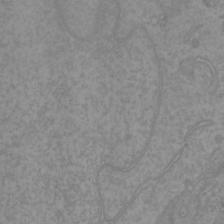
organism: Mouse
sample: Cortical neurons